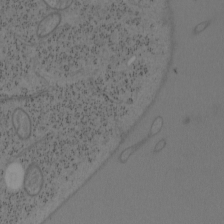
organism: Mouse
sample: OT-I killer T cells with ID8 ovarian cancer cells